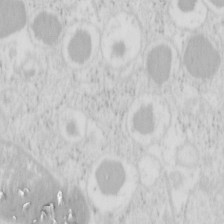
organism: Mouse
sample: Pancreas